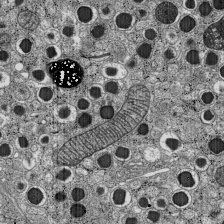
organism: C57BL Mouse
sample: Pancreatic islet